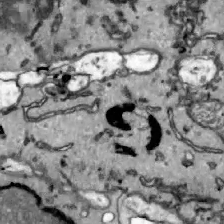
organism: Zebrafish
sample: Actinotrichia fibers